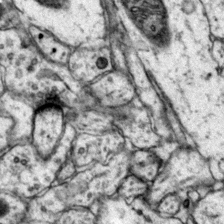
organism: Mouse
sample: Primary visual cortex